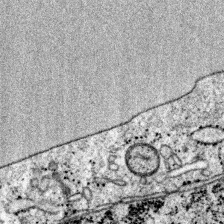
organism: Human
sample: HeLa cells